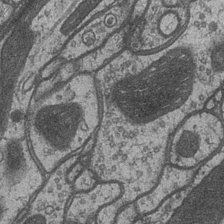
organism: Drosophila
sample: Optic medulla